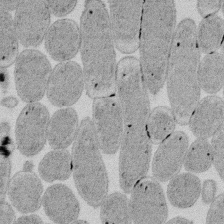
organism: E. coli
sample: Bacterial nucleoid